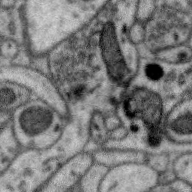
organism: Zebra finch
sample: Brain